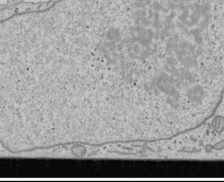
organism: Human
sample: Mitochondria in U2OS cells